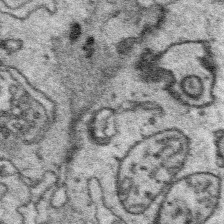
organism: Platynereis dumerilii